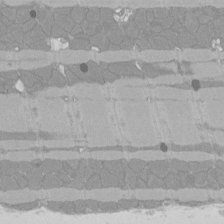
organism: Rat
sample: Left ventricle